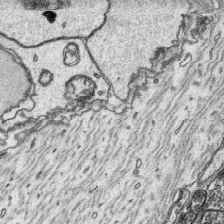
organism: Platynereis dumerilii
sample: Parapodia